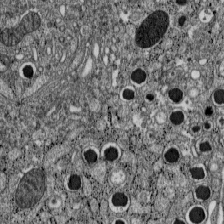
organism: C57BL Mouse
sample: Pancreatic islet